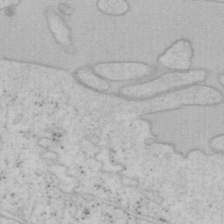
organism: Human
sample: HeLa cells